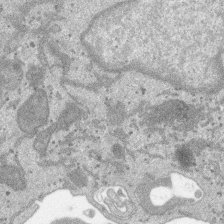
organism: Human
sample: Lung epithelial cells infected with SARS-CoV-2